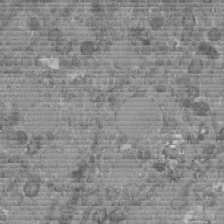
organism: C. elegans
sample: C. elegans embryo early stage